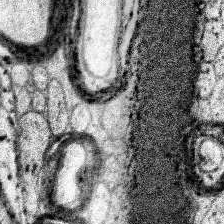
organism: Human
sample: Temporal Lobe